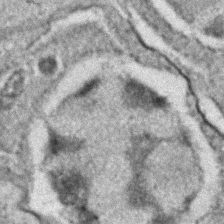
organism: C. elegans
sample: C. elegans embryo